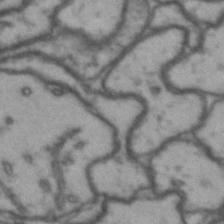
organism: Drosophila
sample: Brain